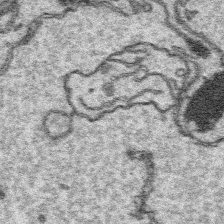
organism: Platynereis dumerilii